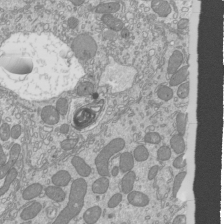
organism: Mouse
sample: Cilia; mouse epididymis